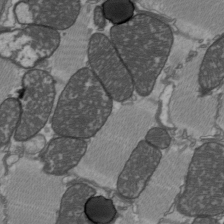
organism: C57BL Mouse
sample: Heart